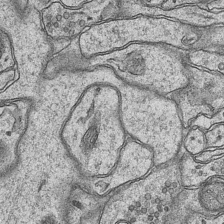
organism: Mouse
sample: CA1 Hippocampus